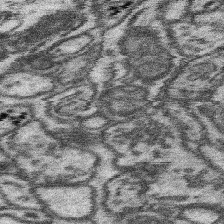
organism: Mouse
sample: Somatosensory cortex neuropil